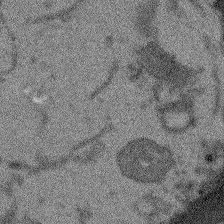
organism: Arabidopsis thaliana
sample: Root tip